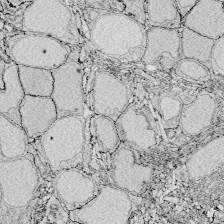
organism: Zebrafish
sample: Whole-Brain